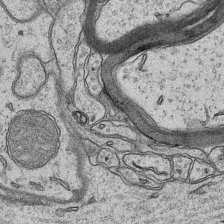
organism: Mouse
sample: CA1 Hippocampus